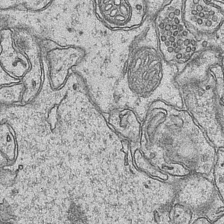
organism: Mouse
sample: CA1 Hippocampus